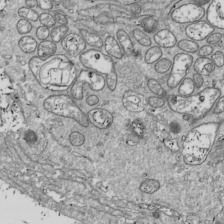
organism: Drosophila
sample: Cell division; meiosis; drosophila spermatocytes